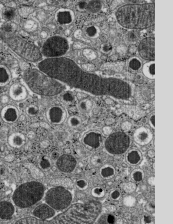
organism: C57BL Mouse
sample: Pancreatic islet